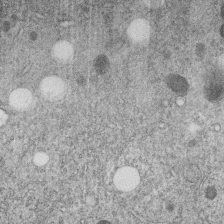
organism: C. elegans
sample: C. elegans embryo early stage